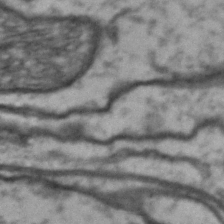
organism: Drosophila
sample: Brain